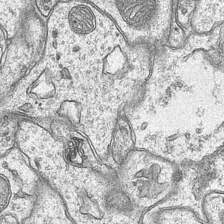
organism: Mouse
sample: CA1 Hippocampus